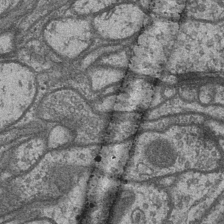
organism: Drosophila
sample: Optic medulla